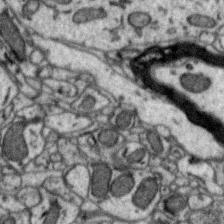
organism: Zebra finch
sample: Brain